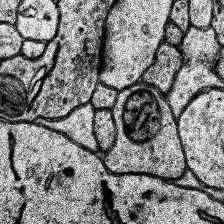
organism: Human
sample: Temporal Lobe